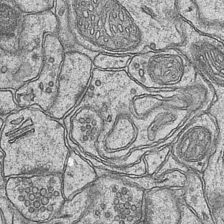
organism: Mouse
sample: CA1 Hippocampus